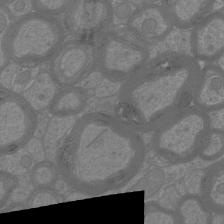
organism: Mouse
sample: Cortical neurons